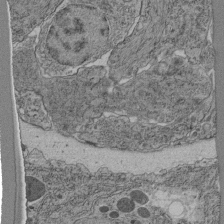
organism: C. elegans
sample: C. elegans pharynx